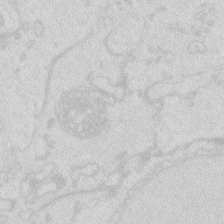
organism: Zebrafish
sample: Macrophage